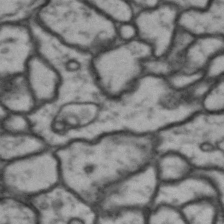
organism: Drosophila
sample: Brain